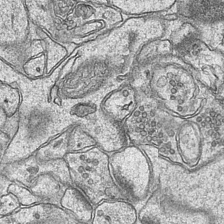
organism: Mouse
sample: CA1 Hippocampus